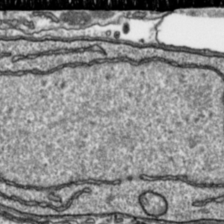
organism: Toxoplasma gondii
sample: Parasites in a vacuole inside a host cell